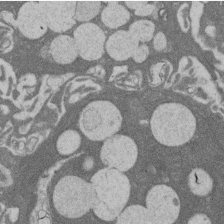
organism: Rat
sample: Salivary granule